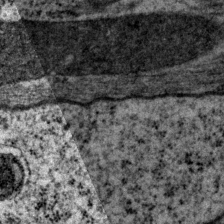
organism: P. pacificus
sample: Pharynx